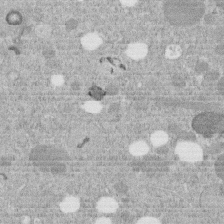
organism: C. elegans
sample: C. elegans embryo early stage